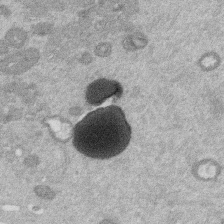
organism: Mouse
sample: Dividing mouse embryo 1 cell stage